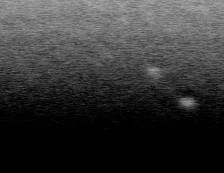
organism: Human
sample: HeLa cells